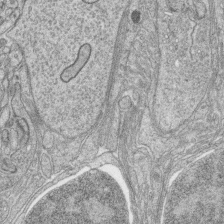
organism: Zebrafish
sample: synaptic ribbons in rod cells and cone cells